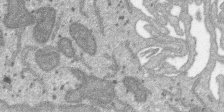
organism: Human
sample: Lung epithelial cells infected with SARS-CoV-2